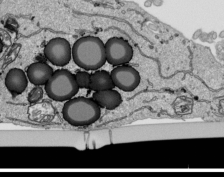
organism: Human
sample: Mitochondria in HCT116 cells